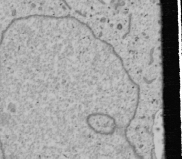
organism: Human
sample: Mitochondria in U2OS cells